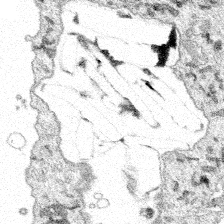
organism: Spongilla lacustris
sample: Multiple